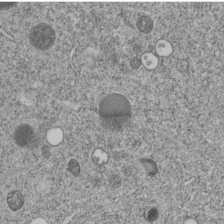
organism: C. elegans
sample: C. elegans embryo early stage